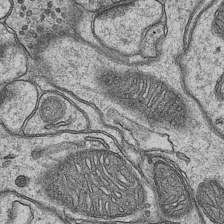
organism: Mouse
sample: CA1 Hippocampus